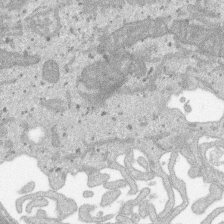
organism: Human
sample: Lung epithelial cells infected with SARS-CoV-2